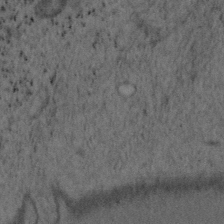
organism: Human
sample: HeLa cells